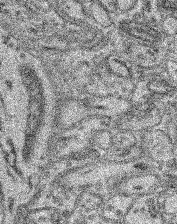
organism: Mouse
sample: Retina